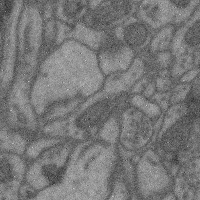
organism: Mouse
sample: Cerebral cortex